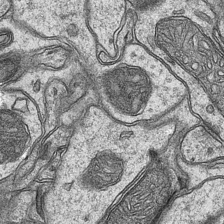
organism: Mouse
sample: CA1 Hippocampus